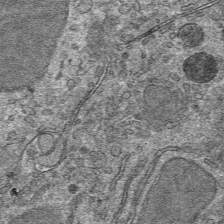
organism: Mouse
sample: Mouse hepatocytes